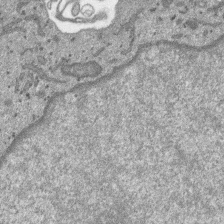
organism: Human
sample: Lung epithelial cells infected with SARS-CoV-2